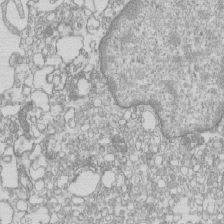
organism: Mouse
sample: Macrophages